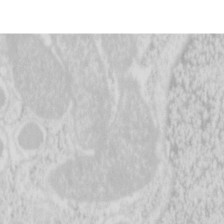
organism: Mouse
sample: Pancreas